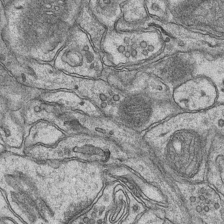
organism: Mouse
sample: CA1 Hippocampus